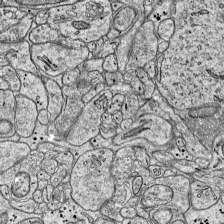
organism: Mouse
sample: Visual Cortex